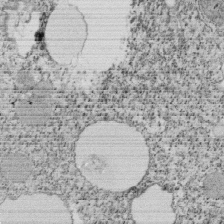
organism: Tetrahymena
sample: Cilia in tetrahymena